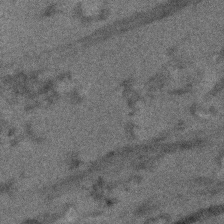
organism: Human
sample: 1205lu cells